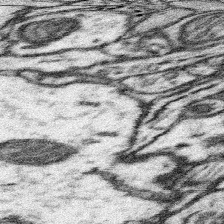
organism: Mouse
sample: Somatosensory cortex neuropil